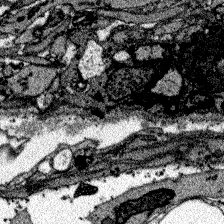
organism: Zebrafish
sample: Larval olfactory bulb